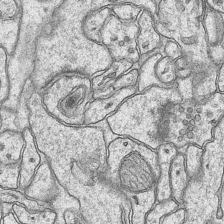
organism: Mouse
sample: CA1 Hippocampus